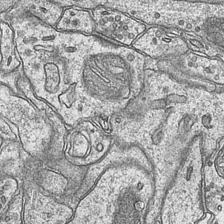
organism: Mouse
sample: CA1 Hippocampus